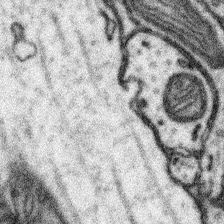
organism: Mouse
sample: Somatosensory cortex neuropil